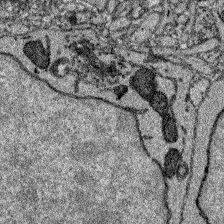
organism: Zebrafish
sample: Larval olfactory bulb